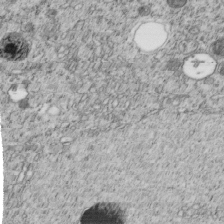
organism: C. elegans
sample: C. elegans embryo early stage